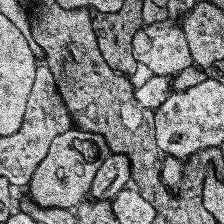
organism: Human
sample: Temporal Lobe